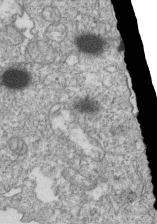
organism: Human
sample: HeLa cell HIV synapse